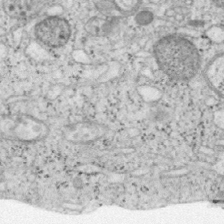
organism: Mouse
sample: OT-I killer T cells with ID8 ovarian cancer cells